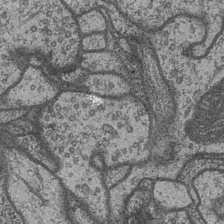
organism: Drosophila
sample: Optic medulla